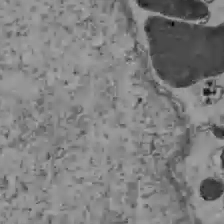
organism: C57BL Mouse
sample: Liver